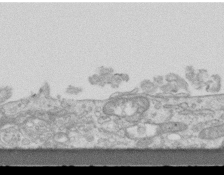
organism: Mouse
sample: Centriole in ependymal cells